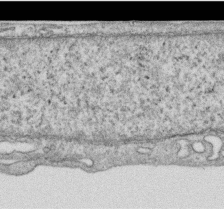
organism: Human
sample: Centriole in RPE cells